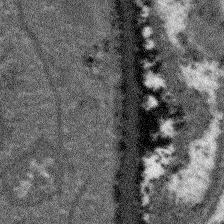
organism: Arabidopsis thaliana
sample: Root tip